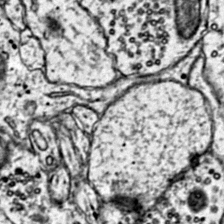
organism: Mouse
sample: Primary visual cortex